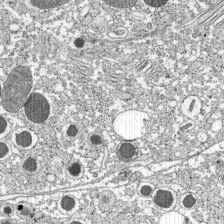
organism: C57BL Mouse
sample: Pancreatic islet